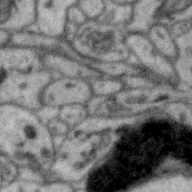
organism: Zebra finch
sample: Brain